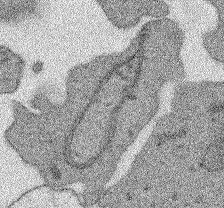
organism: Human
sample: HeLa cells